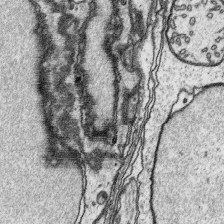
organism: Platynereis dumerilii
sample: Parapodia